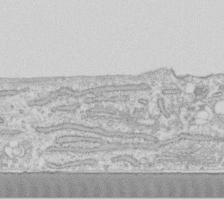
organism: Human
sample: Fibroblast cells